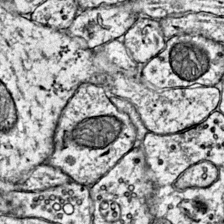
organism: Mouse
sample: Primary visual cortex